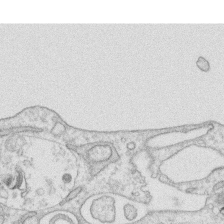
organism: Human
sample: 1205lu cells